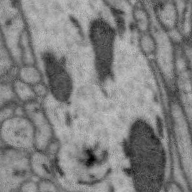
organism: Zebra finch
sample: Brain